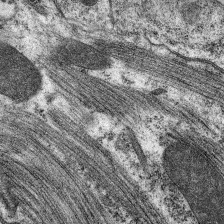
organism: C. elegans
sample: Pharynx